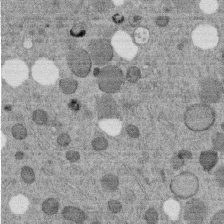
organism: C. elegans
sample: C. elegans embryo early stage